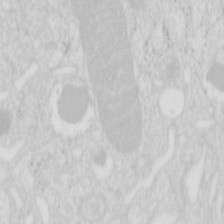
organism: Mouse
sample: Pancreas